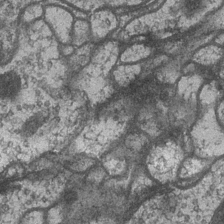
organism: Drosophila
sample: Optic medulla